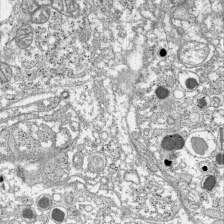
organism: C57BL Mouse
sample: Pancreatic islet